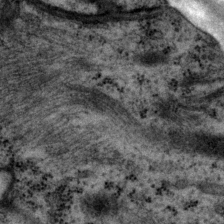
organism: P. pacificus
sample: Pharynx